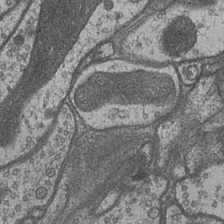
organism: Drosophila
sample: Optic medulla